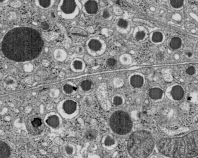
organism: C57BL Mouse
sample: Pancreatic islet